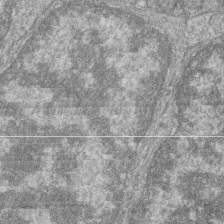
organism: Zebrafish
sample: Cilia; retinal pigment epithelium